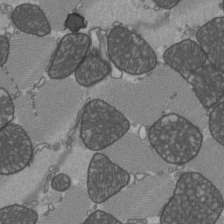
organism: C57BL Mouse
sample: Heart